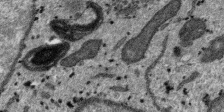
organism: Human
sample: Lung epithelial cells, uninfected (mock) control